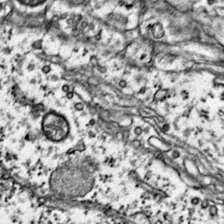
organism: Mouse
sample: Primary visual cortex